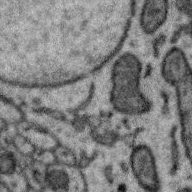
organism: Zebra finch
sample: Brain